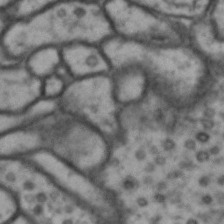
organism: Drosophila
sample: Brain